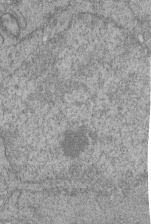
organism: Human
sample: Retinal organoid Rod and Cone cells